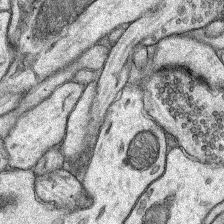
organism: Rat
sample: Hippocampus